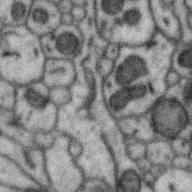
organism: Zebra finch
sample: Brain